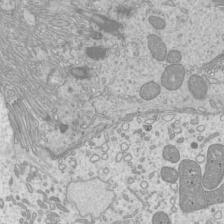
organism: Mouse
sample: Cilia; mouse epididymis